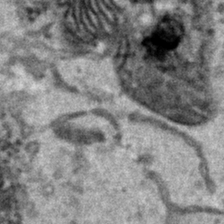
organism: Human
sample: Mitochondria in HCT116 cells